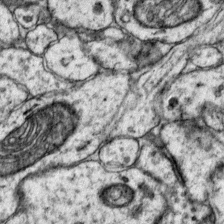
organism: Mouse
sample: Primary visual cortex